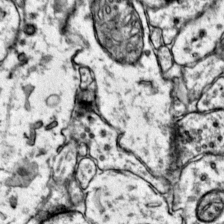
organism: Mouse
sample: Primary visual cortex